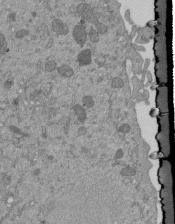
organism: Mouse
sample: ED-1 cell nuclei; centrioles